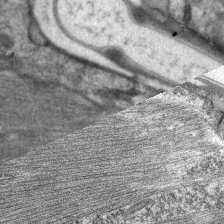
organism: C. elegans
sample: Pharynx